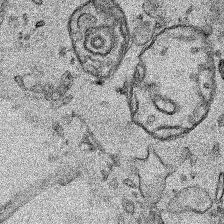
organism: Human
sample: Mitochondria in HCT116 cells